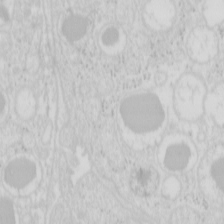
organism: Mouse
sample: Pancreas